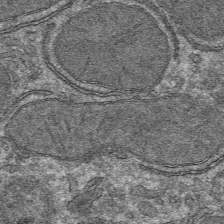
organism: Mouse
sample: Mouse hepatocytes